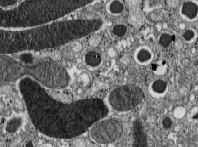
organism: C57BL Mouse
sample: Pancreatic islet